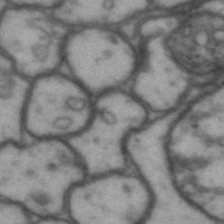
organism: Drosophila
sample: Brain